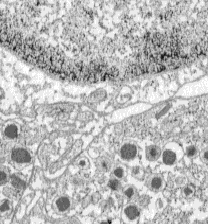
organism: C57BL Mouse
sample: Pancreatic islet